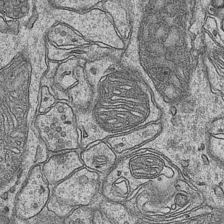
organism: Mouse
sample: CA1 Hippocampus